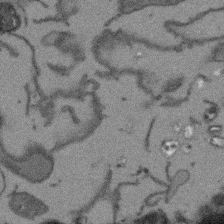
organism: Arabidopsis thaliana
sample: Root tip